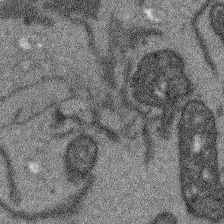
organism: Arabidopsis thaliana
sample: Root tip